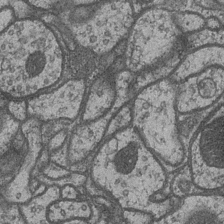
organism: Drosophila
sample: Optic medulla